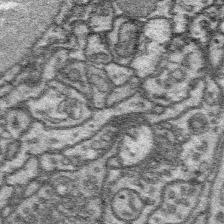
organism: Platynereis dumerilii